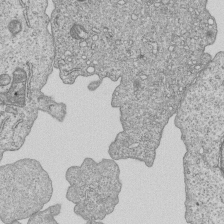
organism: Human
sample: MDA-MB-231 cells